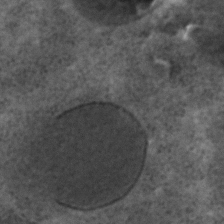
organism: C. elegans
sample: C. elegans embryo